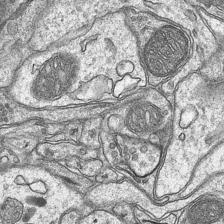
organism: Mouse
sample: CA1 Hippocampus